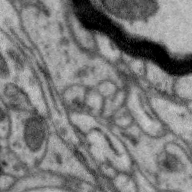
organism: Zebra finch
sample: Brain